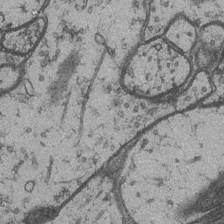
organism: Drosophila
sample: Optic medulla